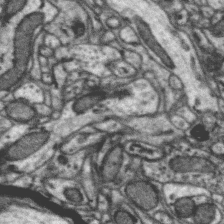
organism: Zebra finch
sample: Brain